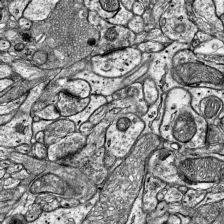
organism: Mouse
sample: Visual Cortex